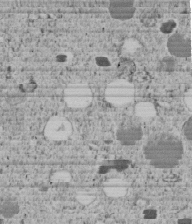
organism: C. elegans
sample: C. elegans embryo early stage